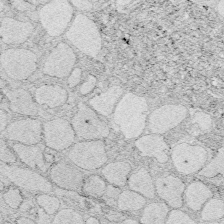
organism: Zebrafish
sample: Whole-Brain